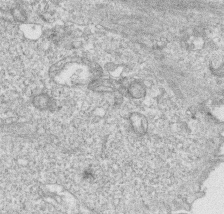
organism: Human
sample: HeLa cell HIV synapse